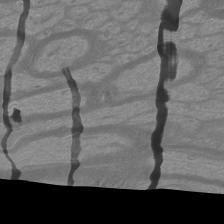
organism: Mouse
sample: Cortical neurons